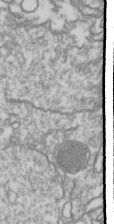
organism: Drosophila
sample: Cell division; meiosis; drosophila spermatocytes